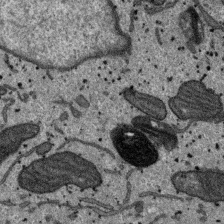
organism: Human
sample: Lung epithelial cells, uninfected (mock) control